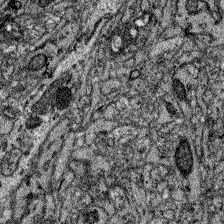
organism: Zebrafish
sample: Larval olfactory bulb